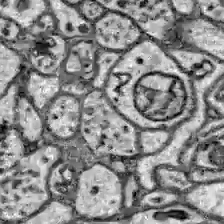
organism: Zebrafish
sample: Brain